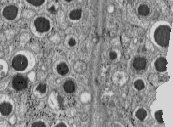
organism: C57BL Mouse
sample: Pancreatic islet